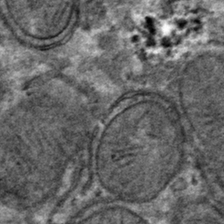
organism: Mouse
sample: Mouse hepatocytes